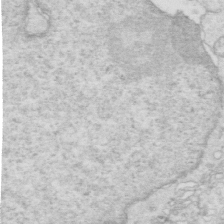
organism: Mouse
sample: Multiciliated cells